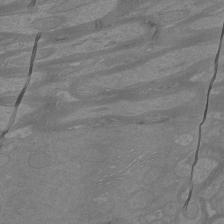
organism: Mouse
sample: Cortical neurons